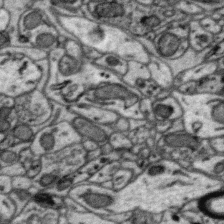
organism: Zebra finch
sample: Brain